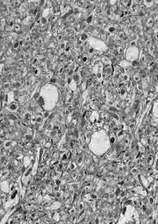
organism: Drosophila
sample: Optic lobe